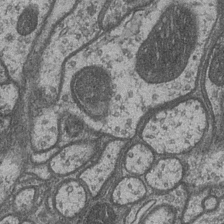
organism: Drosophila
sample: Optic medulla